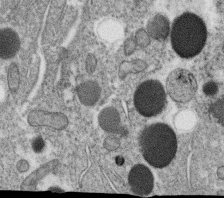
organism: C. elegans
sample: C. elegans oocyte; sperm cells